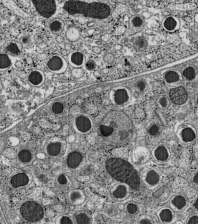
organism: C57BL Mouse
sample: Pancreatic islet